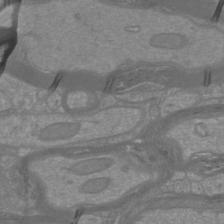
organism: Mouse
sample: Cortical neurons